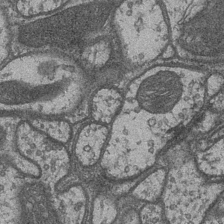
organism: Drosophila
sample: Optic medulla